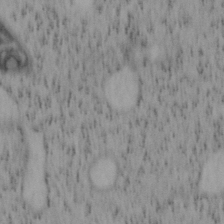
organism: Mouse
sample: OT-I killer T cells with ID8 ovarian cancer cells